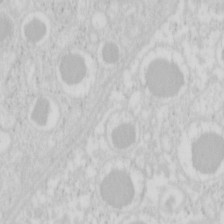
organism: Mouse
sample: Pancreas